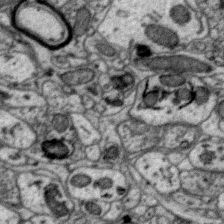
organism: Zebra finch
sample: Brain